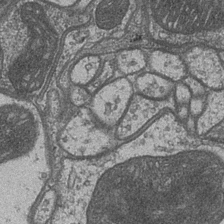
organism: Drosophila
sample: Optic medulla